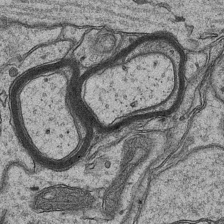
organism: Mouse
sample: CA1 Hippocampus